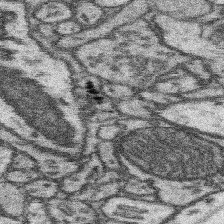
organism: Mouse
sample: Somatosensory cortex neuropil